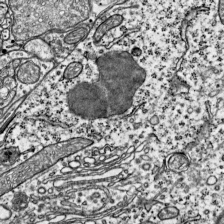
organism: Mouse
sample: Visual Cortex